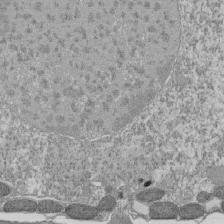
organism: Tetrahymena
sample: Cilia in tetrahymena